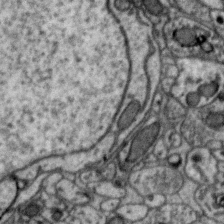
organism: Zebra finch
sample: Brain